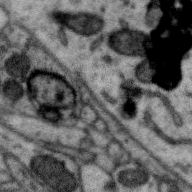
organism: Zebra finch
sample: Brain